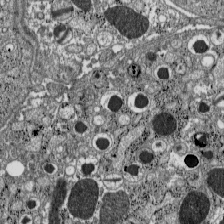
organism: C57BL Mouse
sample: Pancreatic islet